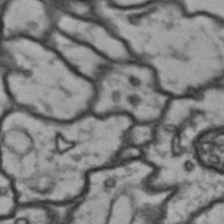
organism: Drosophila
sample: Brain